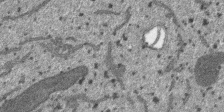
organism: Human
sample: Lung epithelial cells infected with SARS-CoV-2